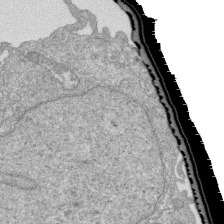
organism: Human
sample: HeLa cell HIV synapse